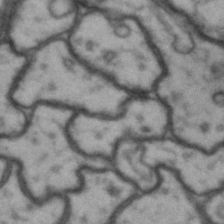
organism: Drosophila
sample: Brain